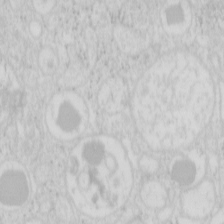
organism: Mouse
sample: Pancreas